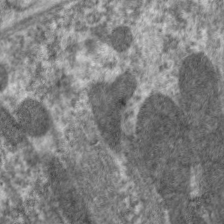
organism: C. elegans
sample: Pharynx